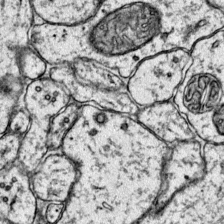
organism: Mouse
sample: Primary visual cortex